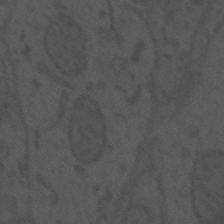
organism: Mouse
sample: Suprachiasmatic nucleus